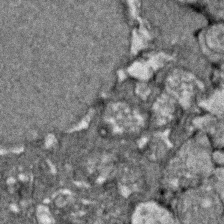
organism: Zebrafish